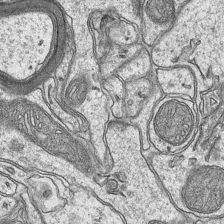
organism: Mouse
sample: CA1 Hippocampus